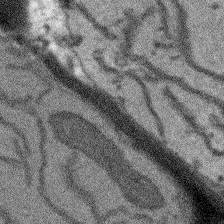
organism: Arabidopsis thaliana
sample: Root tip